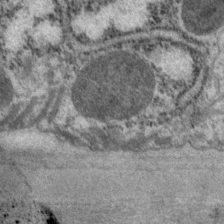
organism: P. pacificus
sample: Pharynx